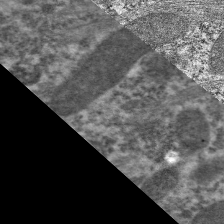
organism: C. elegans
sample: Pharynx